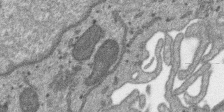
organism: Human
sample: Lung epithelial cells infected with SARS-CoV-2